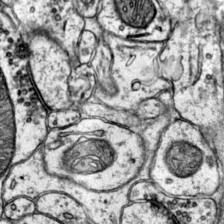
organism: Mouse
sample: Primary visual cortex